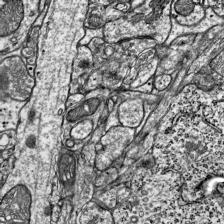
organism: Mouse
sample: Visual Cortex